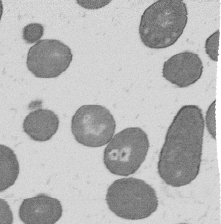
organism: B. subtilis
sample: Bacterial spore